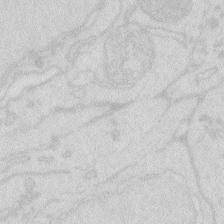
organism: Zebrafish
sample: Macrophage